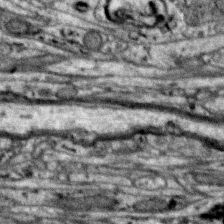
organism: Zebra finch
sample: Brain